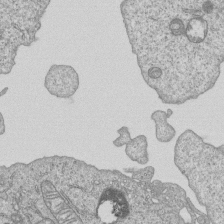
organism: Human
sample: MDA-MB-231 cells